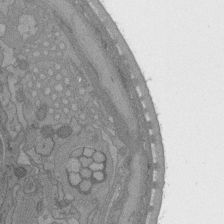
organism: C. elegans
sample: AFD neurons C. elegans